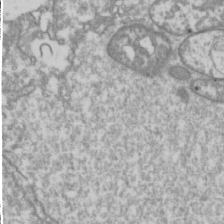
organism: Drosophila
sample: Cell division; meiosis; drosophila spermatocytes